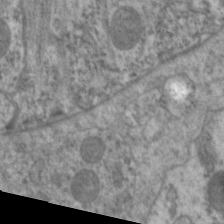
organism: C. elegans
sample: Pharynx